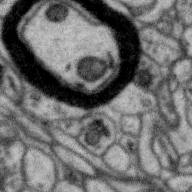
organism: Zebra finch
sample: Brain